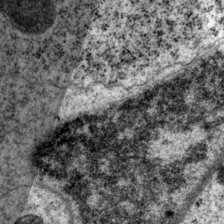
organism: P. pacificus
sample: Pharynx